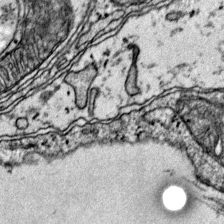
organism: Mouse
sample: Primary visual cortex